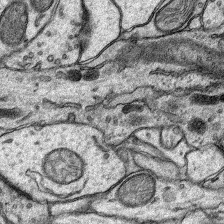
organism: Rat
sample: Hippocampus